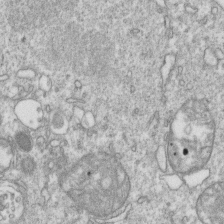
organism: Mouse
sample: Activated OT-1 CD8+ T cells